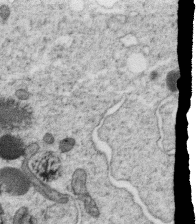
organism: C. elegans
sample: C. elegans oocyte; sperm cells